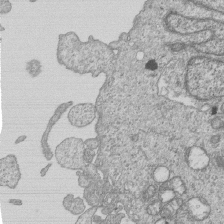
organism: Human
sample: MDA-MB-231 cells